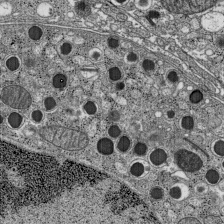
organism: C57BL Mouse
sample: Pancreatic islet